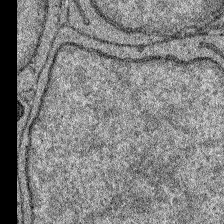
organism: Zebrafish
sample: Larval olfactory bulb